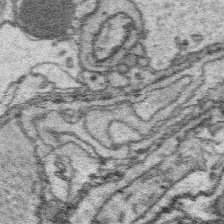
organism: Platynereis dumerilii